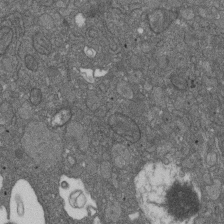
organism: Drosophila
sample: Nephrocyte